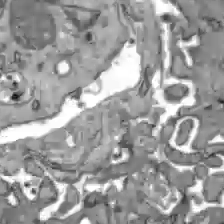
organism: C57BL Mouse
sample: Liver